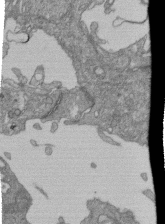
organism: Human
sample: Retinal organoid Rod and Cone cells